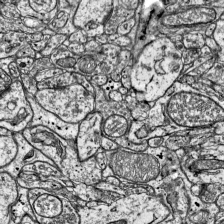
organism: Mouse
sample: Visual Cortex